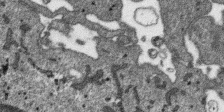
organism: Human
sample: Lung epithelial cells infected with SARS-CoV-2